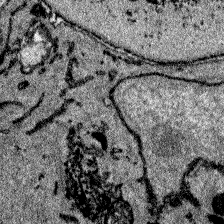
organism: Zebrafish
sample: Larval olfactory bulb